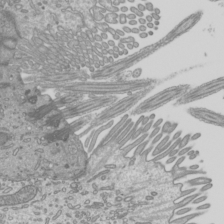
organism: Mouse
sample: Cilia; mouse epididymis